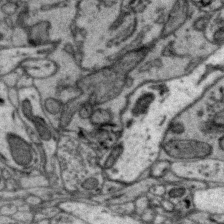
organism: Zebra finch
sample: Brain